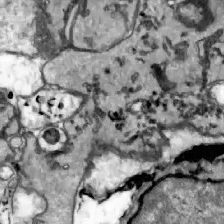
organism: Zebrafish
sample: Actinotrichia fibers